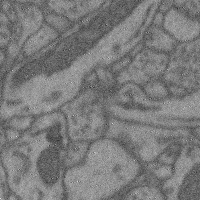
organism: Mouse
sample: Cerebral cortex